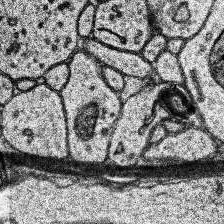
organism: Human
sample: Temporal Lobe